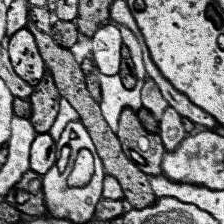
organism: Human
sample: Temporal Lobe